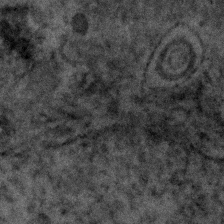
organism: Human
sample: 1205lu cells